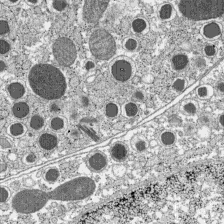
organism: C57BL Mouse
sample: Pancreatic islet